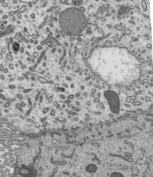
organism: Mouse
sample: Mouse epididymis efferent ductule cilia